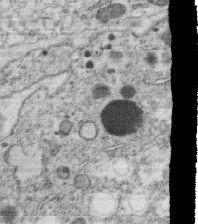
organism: C. elegans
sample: C. elegans oocyte; sperm cells